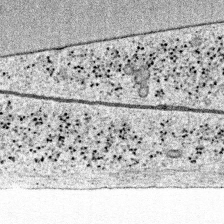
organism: Human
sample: HeLa cells